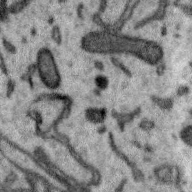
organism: Zebra finch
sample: Brain